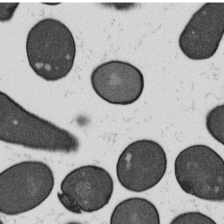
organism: B. subtilis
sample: Bacterial spore